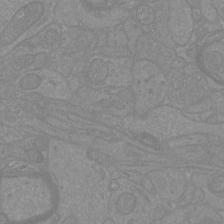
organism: Mouse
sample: Cortical neurons